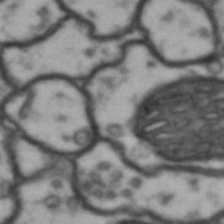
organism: Drosophila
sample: Brain